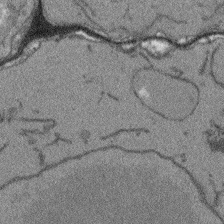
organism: Arabidopsis thaliana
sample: Root tip